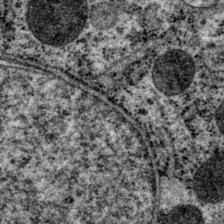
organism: P. pacificus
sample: Pharynx